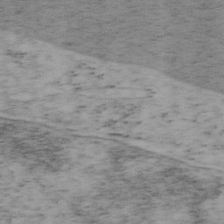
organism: Mouse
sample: OT-I killer T cells with ID8 ovarian cancer cells